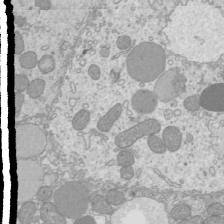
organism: Mouse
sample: Cilia; mouse epididymis